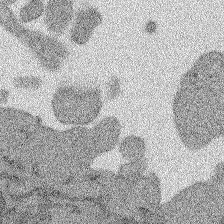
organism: Human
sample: HeLa cells